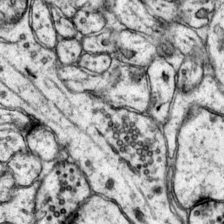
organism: Mouse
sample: Primary visual cortex